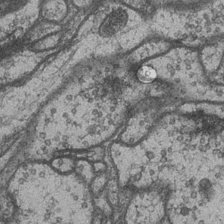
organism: Drosophila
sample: Optic medulla